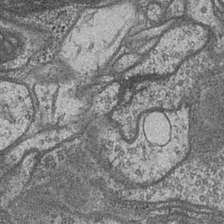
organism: Drosophila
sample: Optic medulla